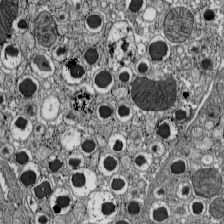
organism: C57BL Mouse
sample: Pancreatic islet